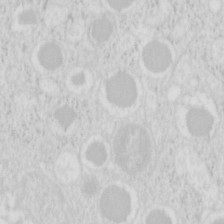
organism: Mouse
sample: Pancreas